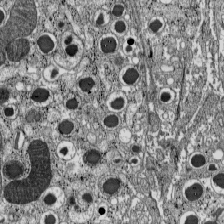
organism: C57BL Mouse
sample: Pancreatic islet